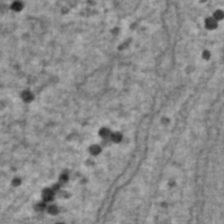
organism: Human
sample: Blood